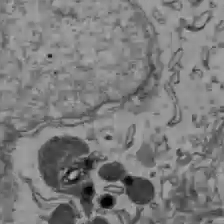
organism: C57BL Mouse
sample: Liver